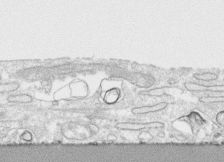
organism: Human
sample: CRL-1474